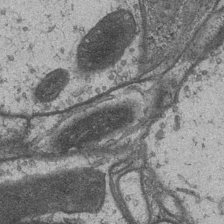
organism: Drosophila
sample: Optic medulla